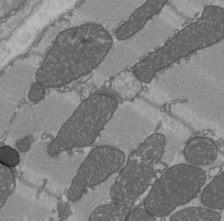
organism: C57BL Mouse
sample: Heart